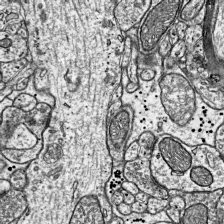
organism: Mouse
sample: Visual Cortex